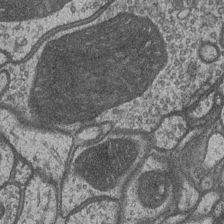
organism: Drosophila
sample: Optic medulla